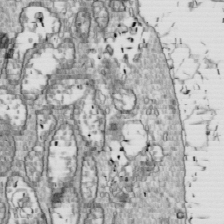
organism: Drosophila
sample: Cell division; meiosis; drosophila spermatocytes